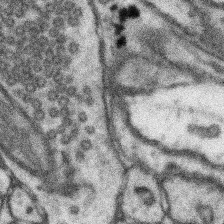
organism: Mouse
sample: Somatosensory cortex neuropil